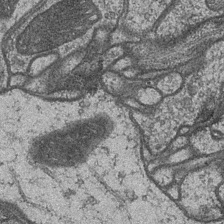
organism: Drosophila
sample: Optic medulla